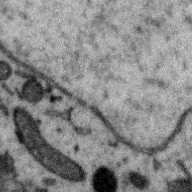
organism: Zebra finch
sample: Brain